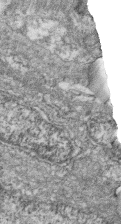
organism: Zebrafish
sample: Cilia; retinal pigment epithelium